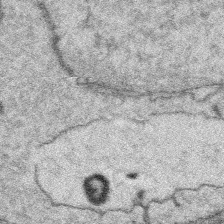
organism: Platynereis dumerilii